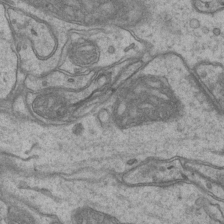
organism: Mouse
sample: CA1 Hippocampus